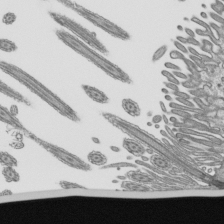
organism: Mouse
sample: Mouse epididymis efferent ductule cilia